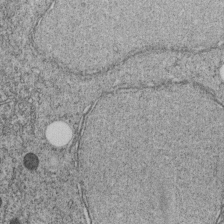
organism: C. elegans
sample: C. elegans embryo early stage